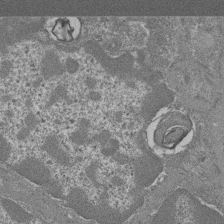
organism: Mouse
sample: Glomerulus